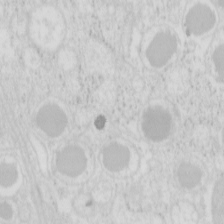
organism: Mouse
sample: Pancreas